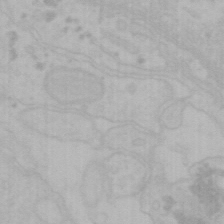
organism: Mouse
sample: Choroid plexus